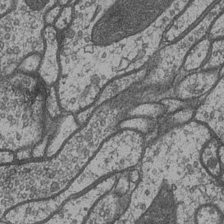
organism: Drosophila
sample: Optic medulla